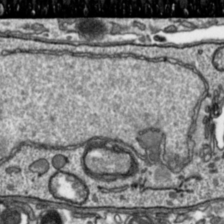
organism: Toxoplasma gondii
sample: Parasites in a vacuole inside a host cell